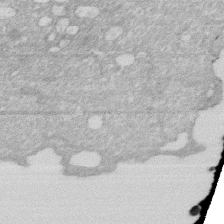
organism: Human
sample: HIV infected U937 cells